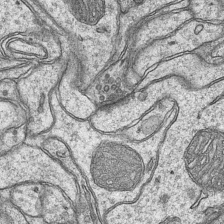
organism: Mouse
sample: CA1 Hippocampus